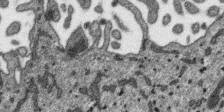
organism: Human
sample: Lung epithelial cells infected with SARS-CoV-2